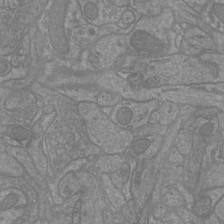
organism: Mouse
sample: Cortical neurons